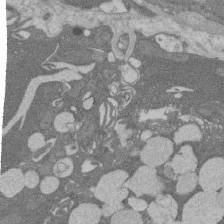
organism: Rat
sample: Salivary granule